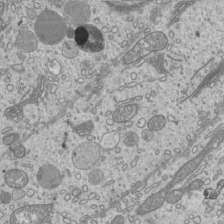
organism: Mouse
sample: Cilia; mouse epididymis